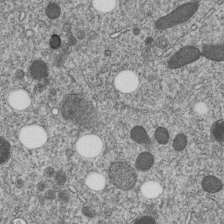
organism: C. elegans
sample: C. elegans embryo early stage